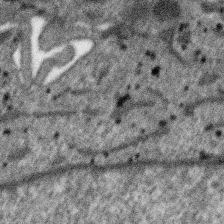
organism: Human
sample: Lung epithelial cells infected with SARS-CoV-2